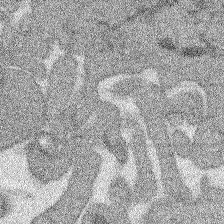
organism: Human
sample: HeLa cells